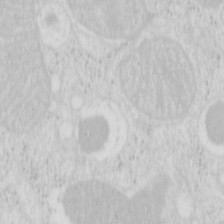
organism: Mouse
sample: Pancreas